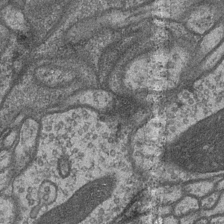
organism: Drosophila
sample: Optic medulla